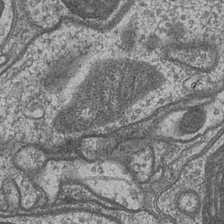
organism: Drosophila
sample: Optic medulla